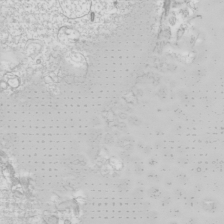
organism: Mouse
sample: Cilia; mouse epididymis